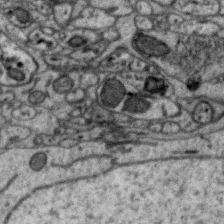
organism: Zebra finch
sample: Brain